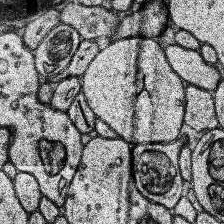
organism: Human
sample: Temporal Lobe